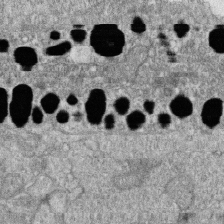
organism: Zebrafish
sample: Cilia; retinal pigment epithelium